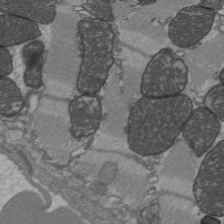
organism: C57BL Mouse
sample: Heart